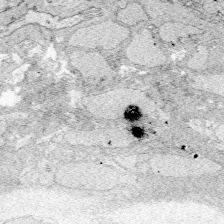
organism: Zebrafish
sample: Whole-Brain